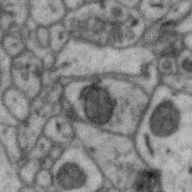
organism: Zebra finch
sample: Brain